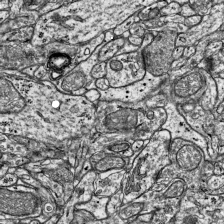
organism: Mouse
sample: Visual Cortex